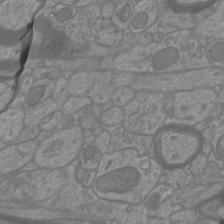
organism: Mouse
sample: Cortical neurons